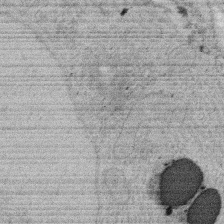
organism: Rat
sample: Salivary granule